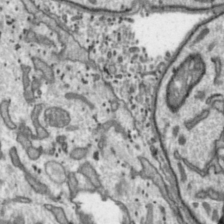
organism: Toxoplasma gondii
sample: Parasites in a vacuole inside a host cell